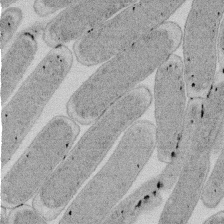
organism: E. coli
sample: Bacterial nucleoid